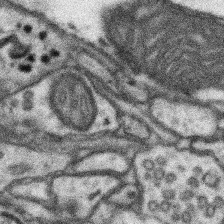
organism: Mouse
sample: Somatosensory cortex neuropil